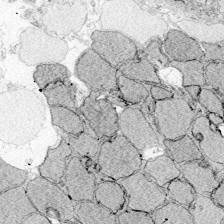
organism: Zebrafish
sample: Whole-Brain